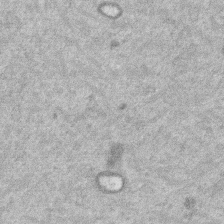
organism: Mouse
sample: Dividing mouse embryo 1 cell stage